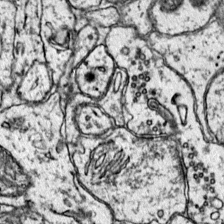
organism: Mouse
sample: Primary visual cortex